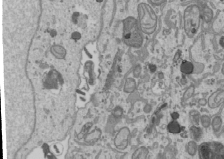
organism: Human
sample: Mitochondria in U2OS cells